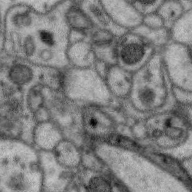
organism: Zebra finch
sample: Brain